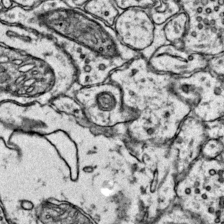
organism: Mouse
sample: Primary visual cortex